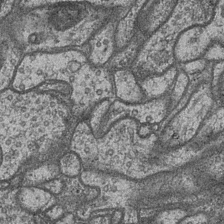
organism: Drosophila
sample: Optic medulla